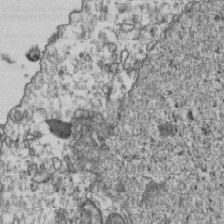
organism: Human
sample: Activated Jurkat CD4+ T cells